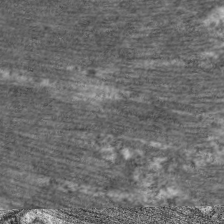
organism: C. elegans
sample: Pharynx